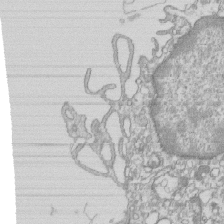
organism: Mouse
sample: Macrophages